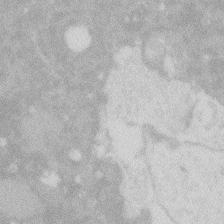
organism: Zebrafish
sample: Macrophage